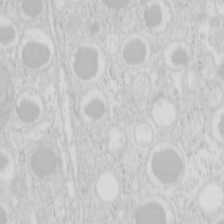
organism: Mouse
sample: Pancreas